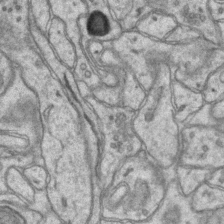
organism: Mouse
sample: CA1 Hippocampus